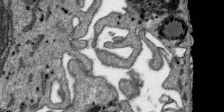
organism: Human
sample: Lung epithelial cells, uninfected (mock) control